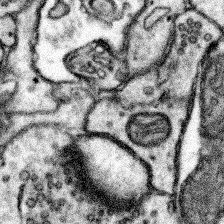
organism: Mouse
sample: Somatosensory cortex neuropil